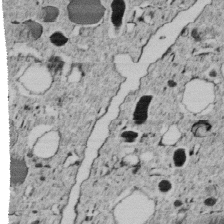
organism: C. elegans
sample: C. elegans embryo early stage